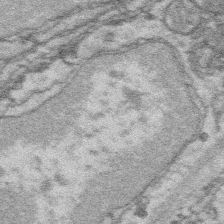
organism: Platynereis dumerilii